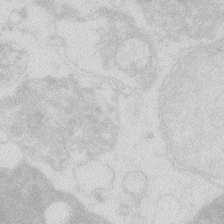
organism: Zebrafish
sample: Macrophage